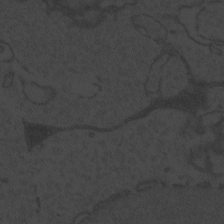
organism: Zebrafish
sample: Macrophage infected with Toxoplasma gondii